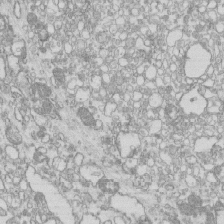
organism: Mouse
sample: Macrophages